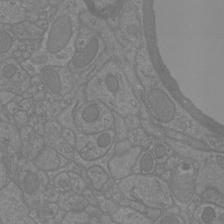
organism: Mouse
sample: Cortical neurons